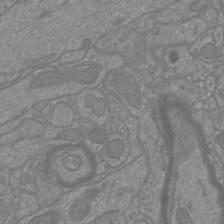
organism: Mouse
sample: Cortical neurons